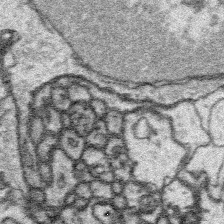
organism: Platynereis dumerilii